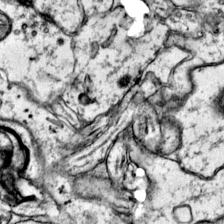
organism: Mouse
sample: Primary visual cortex